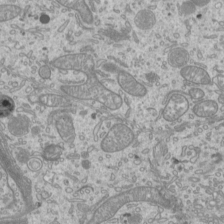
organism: Mouse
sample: Cilia; mouse epididymis